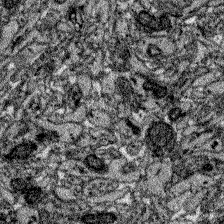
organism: Zebrafish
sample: Larval olfactory bulb